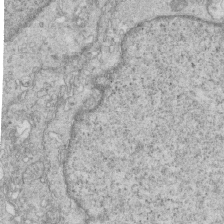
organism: Mouse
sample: Multiciliated cells